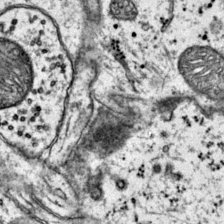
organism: Mouse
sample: Primary visual cortex